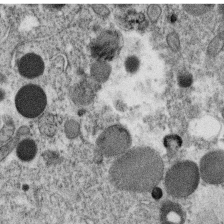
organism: C. elegans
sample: C. elegans oocyte; sperm cells